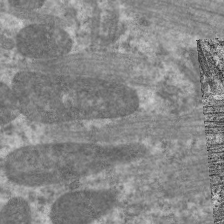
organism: C. elegans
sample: Pharynx